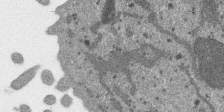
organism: Human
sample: Lung epithelial cells infected with SARS-CoV-2